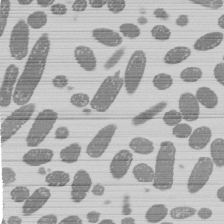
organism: E. coli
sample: Bacterial nucleoid